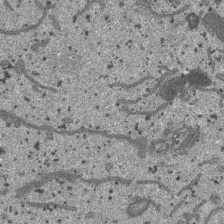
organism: Human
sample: Lung epithelial cells infected with SARS-CoV-2